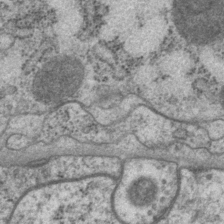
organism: P. pacificus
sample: Pharynx